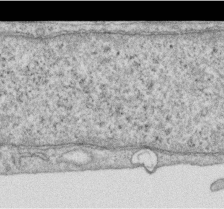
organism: Human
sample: Centriole in RPE cells